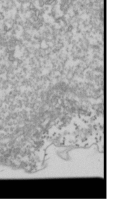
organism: Drosophila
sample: Cell division; meiosis; drosophila spermatocytes